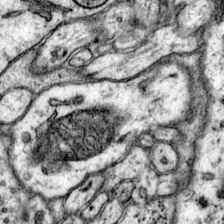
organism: Mouse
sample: Primary visual cortex